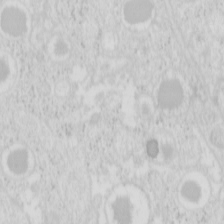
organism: Mouse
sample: Pancreas